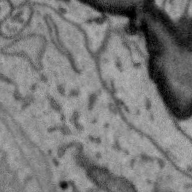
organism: Zebra finch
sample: Brain